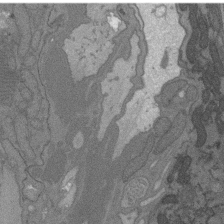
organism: C. elegans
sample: AFD neurons C. elegans